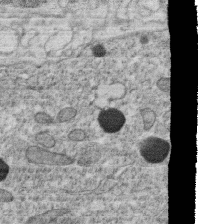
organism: C. elegans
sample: C. elegans oocyte; sperm cells